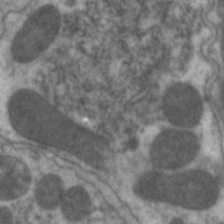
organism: C. elegans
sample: Pharynx